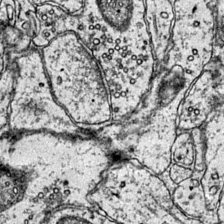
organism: Mouse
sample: Primary visual cortex